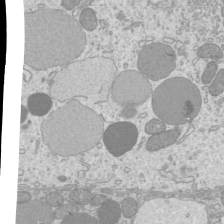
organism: Mouse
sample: Cilia; mouse epididymis